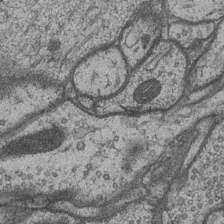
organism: Drosophila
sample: Optic medulla